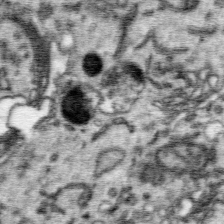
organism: Human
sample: HeLa cells